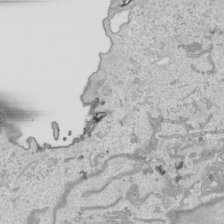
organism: Human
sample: Mitochondria in HCT116 cells